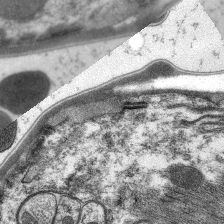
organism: C. elegans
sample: Pharynx